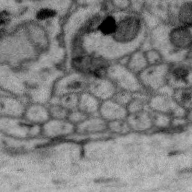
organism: Zebra finch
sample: Brain